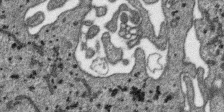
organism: Human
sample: Lung epithelial cells infected with SARS-CoV-2